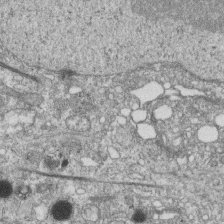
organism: Human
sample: HeLa cell HIV synapse